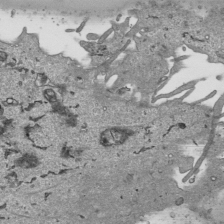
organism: Human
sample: Mitochondria in HCT116 cells